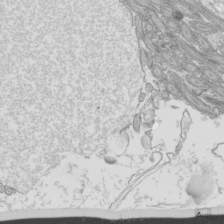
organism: Mouse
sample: Cilia; mouse epididymis